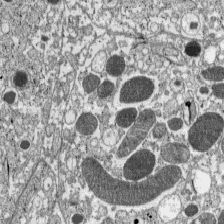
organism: C57BL Mouse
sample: Pancreatic islet